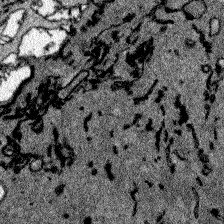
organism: Zebrafish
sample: Larval olfactory bulb